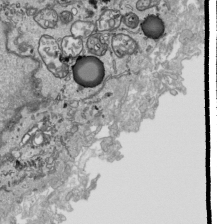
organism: Human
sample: Mitochondria in HCT116 cells